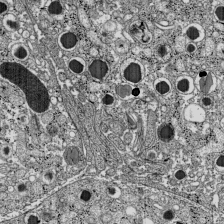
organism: C57BL Mouse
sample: Pancreatic islet